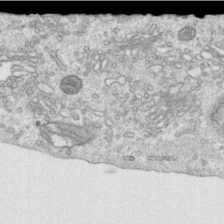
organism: Human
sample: Centriole in RPE cells